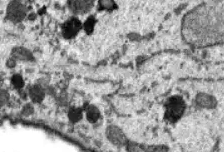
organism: Human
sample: HeLa cells